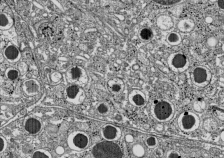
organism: C57BL Mouse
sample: Pancreatic islet